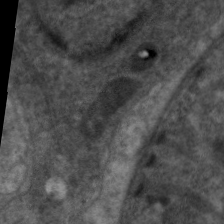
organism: C. elegans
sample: Pharynx